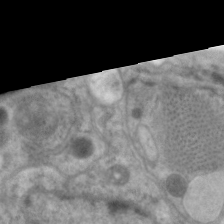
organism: C. elegans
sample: Pharynx